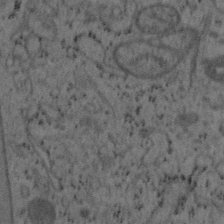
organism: Human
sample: HeLa cells